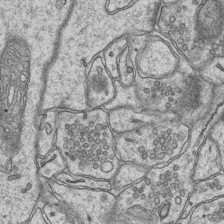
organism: Mouse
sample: CA1 Hippocampus